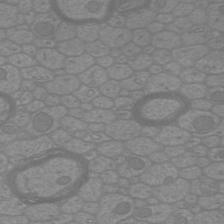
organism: Mouse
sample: Cortical neurons